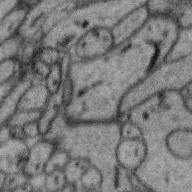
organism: Zebra finch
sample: Brain